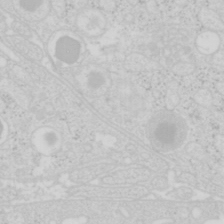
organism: Mouse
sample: Pancreas